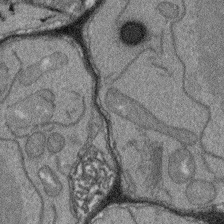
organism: Arabidopsis thaliana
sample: Root tip